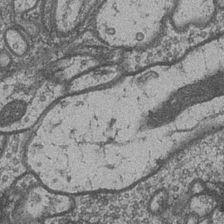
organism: Drosophila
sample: Optic medulla